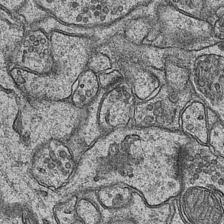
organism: Mouse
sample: CA1 Hippocampus